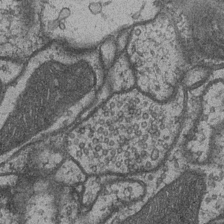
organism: Drosophila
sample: Optic medulla